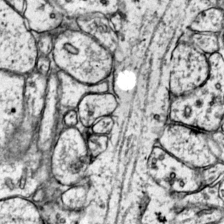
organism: Mouse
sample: Primary visual cortex